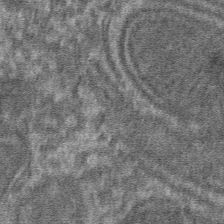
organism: Mouse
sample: Mouse hepatocytes